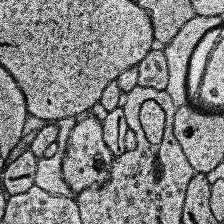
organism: Human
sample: Temporal Lobe